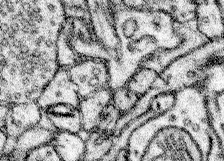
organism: Mouse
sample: Somatosensory cortex neuropil